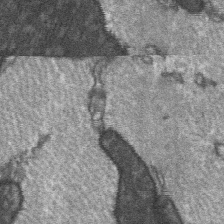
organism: C57BL Mouse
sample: Soleus